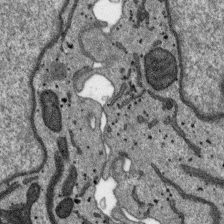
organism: Human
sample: Lung epithelial cells, uninfected (mock) control